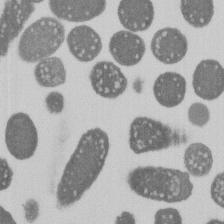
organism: E. coli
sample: Bacterial nucleoid